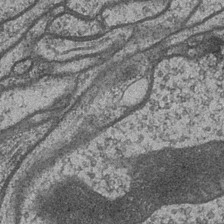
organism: Drosophila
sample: Optic medulla